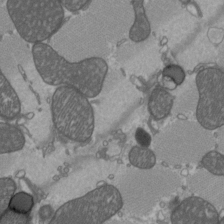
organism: C57BL Mouse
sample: Heart